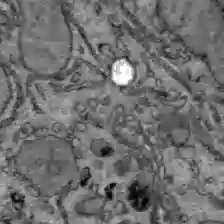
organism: C57BL Mouse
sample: Liver